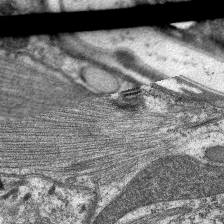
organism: C. elegans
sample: Pharynx